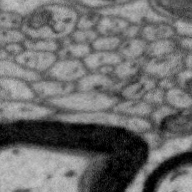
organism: Zebra finch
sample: Brain